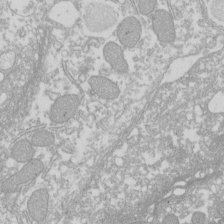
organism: Xenopus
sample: Cilia; centrioles in frog embryo cells